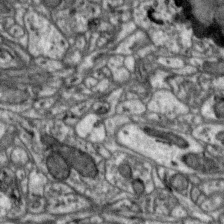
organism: Zebra finch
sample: Brain